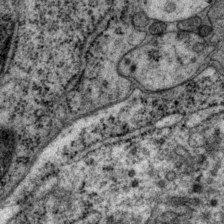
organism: P. pacificus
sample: Pharynx